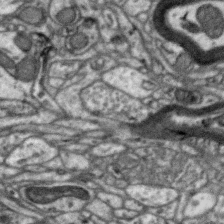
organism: Zebra finch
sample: Brain